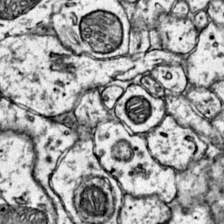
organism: Mouse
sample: Primary visual cortex